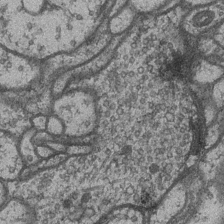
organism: Drosophila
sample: Optic medulla